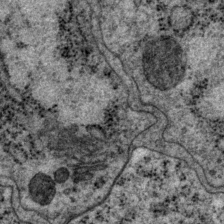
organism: P. pacificus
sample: Pharynx